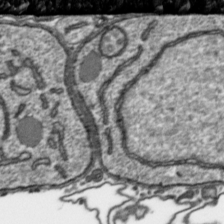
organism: Toxoplasma gondii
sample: Parasites in a vacuole inside a host cell